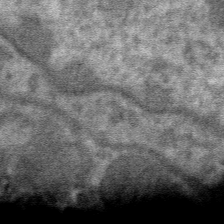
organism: Mouse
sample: Mouse hepatocytes